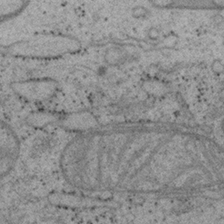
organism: Human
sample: HeLa cells